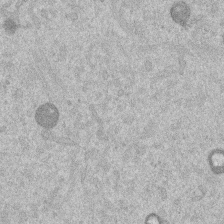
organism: Mouse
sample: Dividing mouse embryo 1 cell stage